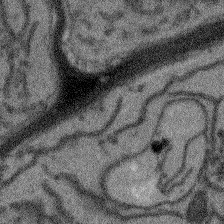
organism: Arabidopsis thaliana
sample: Root tip